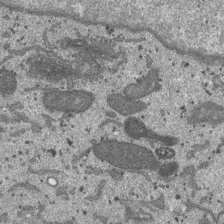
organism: Human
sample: Lung epithelial cells infected with SARS-CoV-2